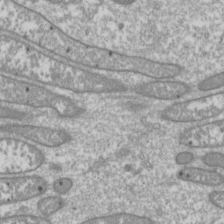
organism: Drosophila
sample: Cell division; meiosis; drosophila spermatocytes